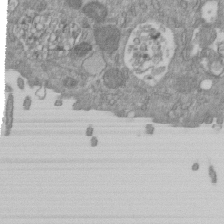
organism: Mouse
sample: ED-1 cell nuclei; centrioles